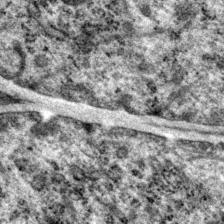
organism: P. pacificus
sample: Pharynx